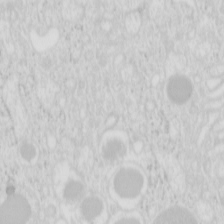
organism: Mouse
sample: Pancreas